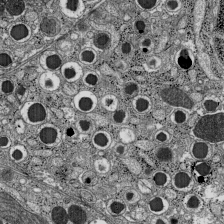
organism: C57BL Mouse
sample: Pancreatic islet